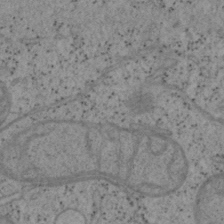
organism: Human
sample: HeLa cells